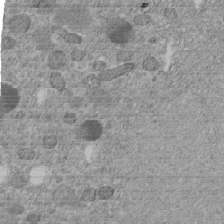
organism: C. elegans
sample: C. elegans embryo early stage